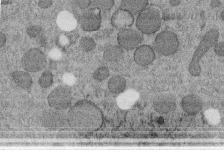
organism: C. elegans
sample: C. elegans embryo early stage